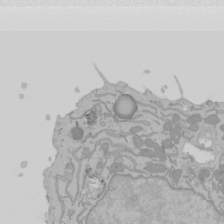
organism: Mouse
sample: Cancer cell death in ED-1 cells